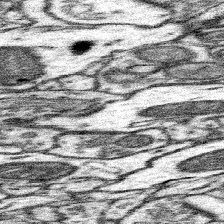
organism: Mouse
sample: Somatosensory cortex neuropil